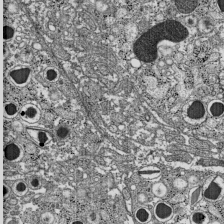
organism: C57BL Mouse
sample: Pancreatic islet